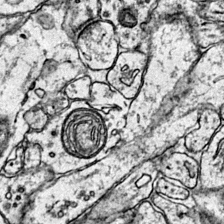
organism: Mouse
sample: Primary visual cortex